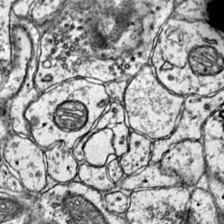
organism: Mouse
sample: Primary visual cortex